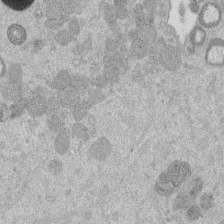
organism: Mouse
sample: Dividing mouse embryo 1 cell stage